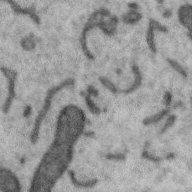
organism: Zebra finch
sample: Brain